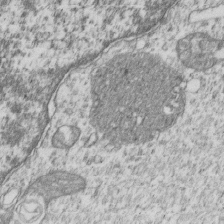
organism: Human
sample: MDA-MB-231 cells